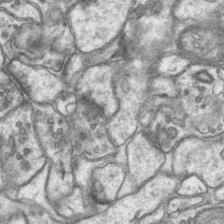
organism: Mouse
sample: CA1 Hippocampus